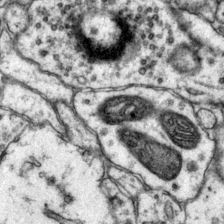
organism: Mouse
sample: Primary visual cortex